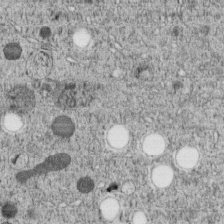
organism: C. elegans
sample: C. elegans embryo early stage